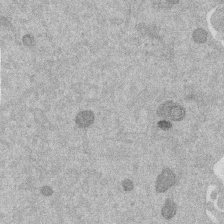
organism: Mouse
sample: Dividing mouse embryo 1 cell stage